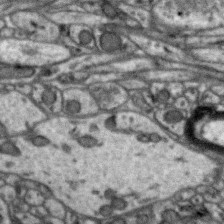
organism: Zebra finch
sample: Brain